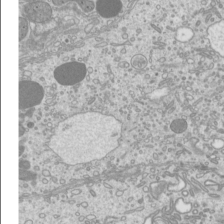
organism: Mouse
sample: Cilia; mouse epididymis